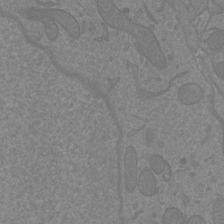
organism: Mouse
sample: Cortical neurons